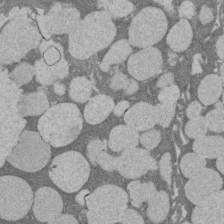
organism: Rat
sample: Salivary granule